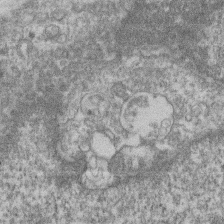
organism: Mouse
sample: T cell stromal cell synapse